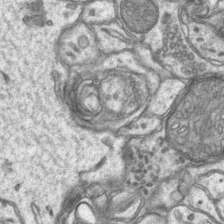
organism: Mouse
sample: CA1 Hippocampus